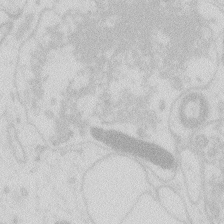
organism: Zebrafish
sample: Macrophage